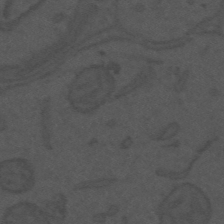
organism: Mouse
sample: Suprachiasmatic nucleus